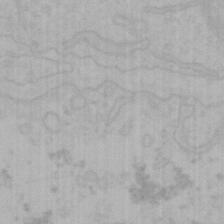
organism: Mouse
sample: Choroid plexus